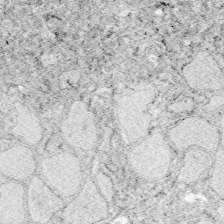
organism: Zebrafish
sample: Whole-Brain